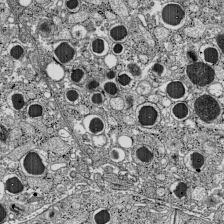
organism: C57BL Mouse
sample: Pancreatic islet